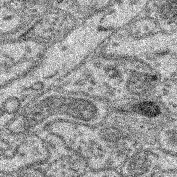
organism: Mouse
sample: Retina